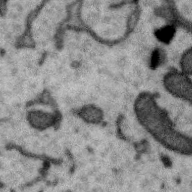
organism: Zebra finch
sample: Brain